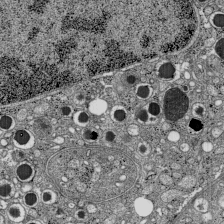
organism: C57BL Mouse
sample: Pancreatic islet